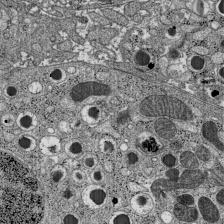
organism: C57BL Mouse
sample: Pancreatic islet